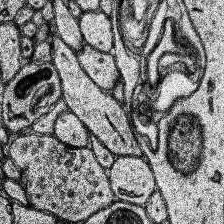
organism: Human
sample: Temporal Lobe